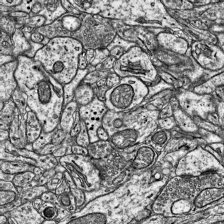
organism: Mouse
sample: Visual Cortex